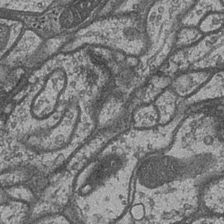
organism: Drosophila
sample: Optic medulla